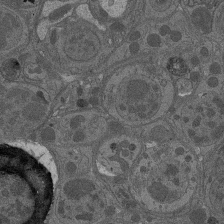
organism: Drosophila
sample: Antenna